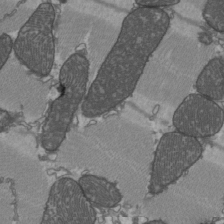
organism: C57BL Mouse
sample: Heart